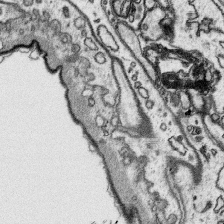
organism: Platynereis dumerilii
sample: Parapodia